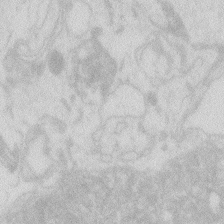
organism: Zebrafish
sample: Macrophage